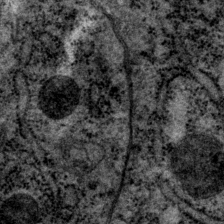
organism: P. pacificus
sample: Pharynx